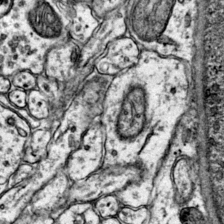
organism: Mouse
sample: Primary visual cortex